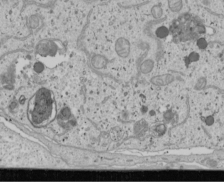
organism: Human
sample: Mitochondria in U2OS cells